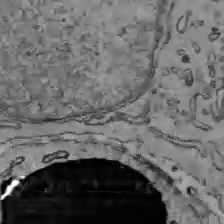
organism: C57BL Mouse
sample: Liver